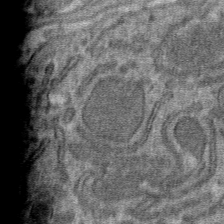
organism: Mouse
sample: Mouse hepatocytes